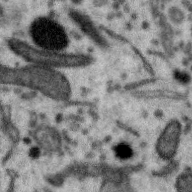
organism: Zebra finch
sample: Brain